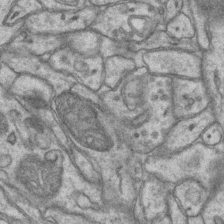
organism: Mouse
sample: CA1 Hippocampus